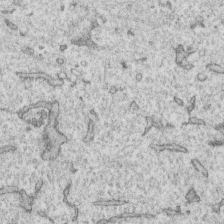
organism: Human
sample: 1205lu cells